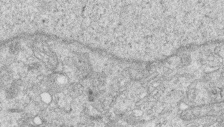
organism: Human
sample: HeLa cell HIV synapse